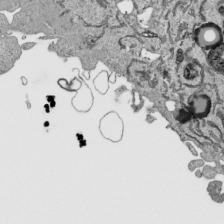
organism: Human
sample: Mitochondria in HCT116 cells